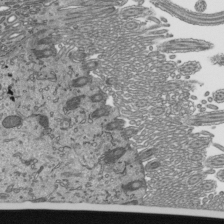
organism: Mouse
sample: Mouse epididymis efferent ductule cilia